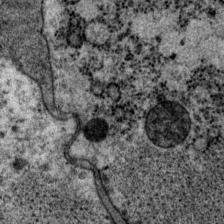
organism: P. pacificus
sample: Pharynx